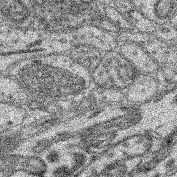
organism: Mouse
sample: Retina